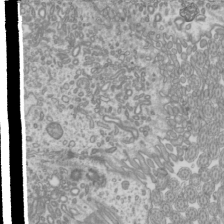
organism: Mouse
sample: Cilia; mouse epididymis